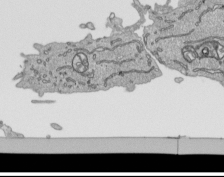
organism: Human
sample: Mitochondria in HCT116 cells